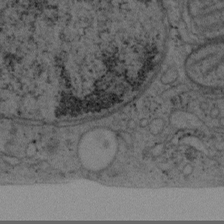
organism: Human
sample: HeLa cells